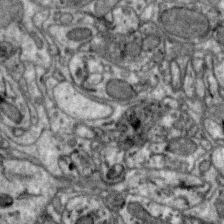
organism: Zebra finch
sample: Brain